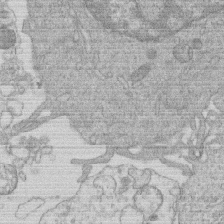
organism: Human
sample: Macrophage cells